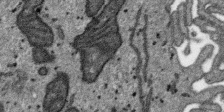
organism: Human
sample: Lung epithelial cells, uninfected (mock) control